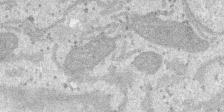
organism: Human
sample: Lung epithelial cells infected with SARS-CoV-2